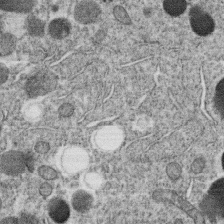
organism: C. elegans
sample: C. elegans oocyte; sperm cells